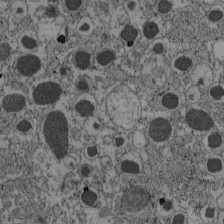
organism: C57BL Mouse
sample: Pancreatic islet